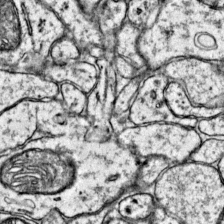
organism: Mouse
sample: Primary visual cortex